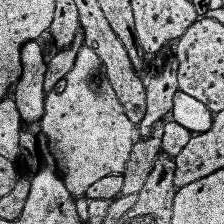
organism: Human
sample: Temporal Lobe